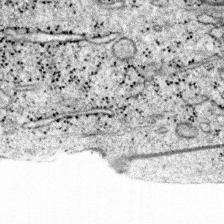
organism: Human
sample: HeLa cells